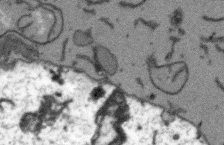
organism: Arabidopsis thaliana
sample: Root tip